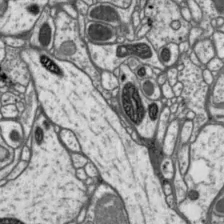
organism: Drosophila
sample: Protocerebral bridge